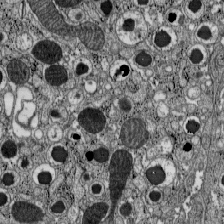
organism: C57BL Mouse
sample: Pancreatic islet